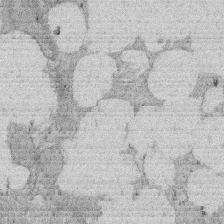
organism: Rat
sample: Salivary granule